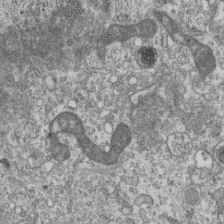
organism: Mouse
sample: Centriole in ependymal cells